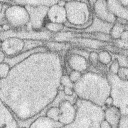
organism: Rabbit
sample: Retina